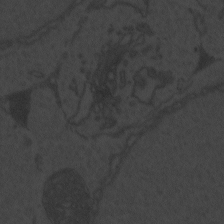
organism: Zebrafish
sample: Macrophage infected with Toxoplasma gondii